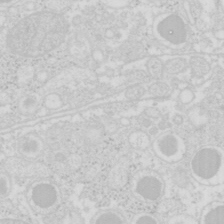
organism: Mouse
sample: Pancreas